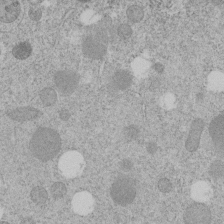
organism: C. elegans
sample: C. elegans embryo early stage